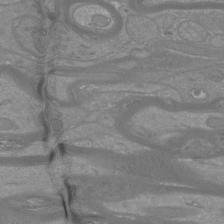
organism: Mouse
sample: Cortical neurons